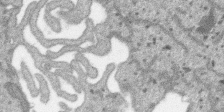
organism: Human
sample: Lung epithelial cells infected with SARS-CoV-2